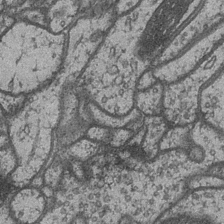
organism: Drosophila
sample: Optic medulla